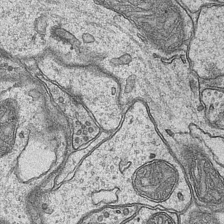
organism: Mouse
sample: CA1 Hippocampus